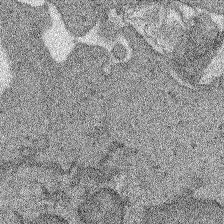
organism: Human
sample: HeLa cells